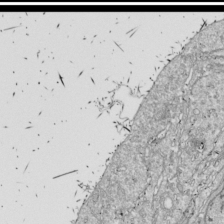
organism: Drosophila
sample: Cell division; meiosis; drosophila spermatocytes